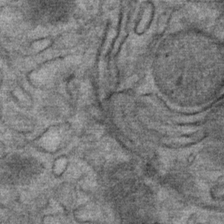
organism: Mouse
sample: Mouse Salivary gland